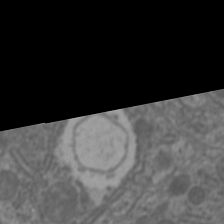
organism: C. elegans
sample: Pharynx